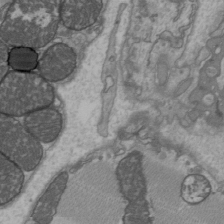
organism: C57BL Mouse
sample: Heart